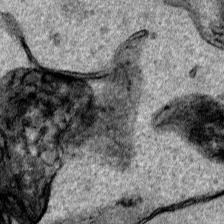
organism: Human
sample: Mitochondria in HCT116 cells